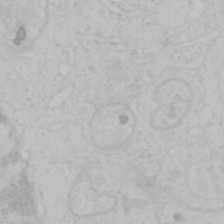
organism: Mouse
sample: OT-I killer T cells with ID8 ovarian cancer cells